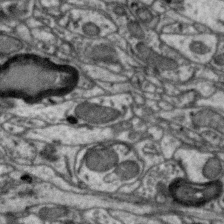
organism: Zebra finch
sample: Brain